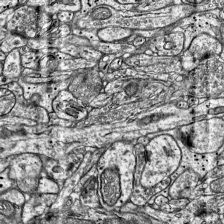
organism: Mouse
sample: Visual Cortex